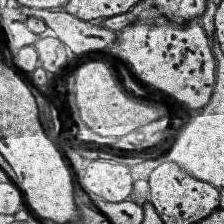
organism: Human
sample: Temporal Lobe